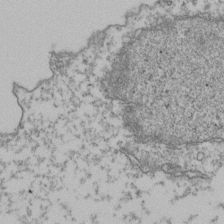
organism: Human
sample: Activated Jurkat CD4+ T cells